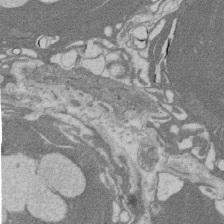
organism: Rat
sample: Salivary granule